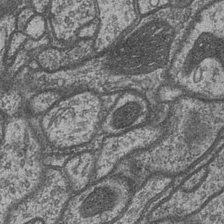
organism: Drosophila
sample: Optic medulla